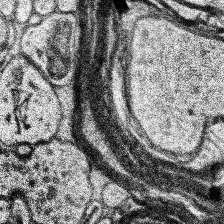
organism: Human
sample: Temporal Lobe